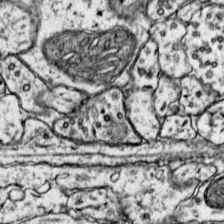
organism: Mouse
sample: Primary visual cortex